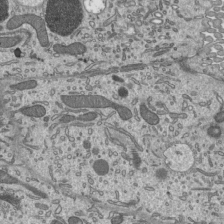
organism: Mouse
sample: Mouse epididymis efferent ductule cilia